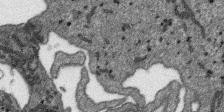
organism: Human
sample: Lung epithelial cells infected with SARS-CoV-2